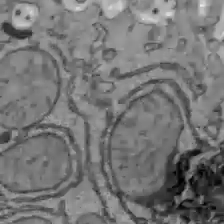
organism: C57BL Mouse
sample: Liver